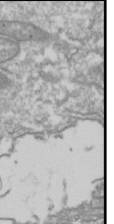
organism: Drosophila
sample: Cell division; meiosis; drosophila spermatocytes